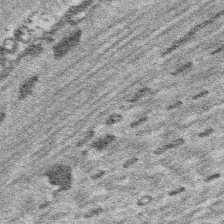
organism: Platynereis dumerilii